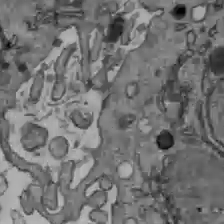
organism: C57BL Mouse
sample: Liver